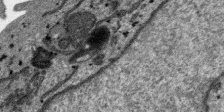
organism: Human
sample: Lung epithelial cells, uninfected (mock) control